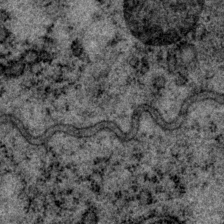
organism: P. pacificus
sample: Pharynx